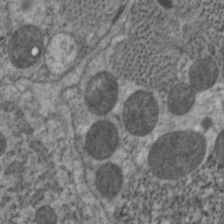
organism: C. elegans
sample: Pharynx